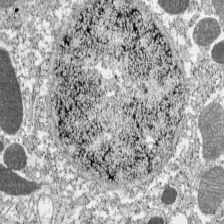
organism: C57BL Mouse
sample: Pancreatic islet